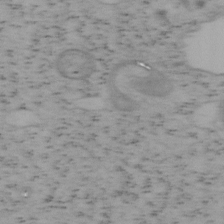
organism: Mouse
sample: OT-I killer T cells with ID8 ovarian cancer cells